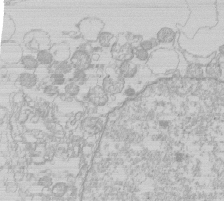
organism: Human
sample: Macrophage cells